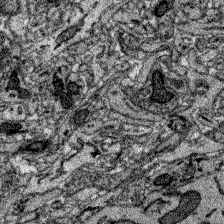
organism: Zebrafish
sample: Larval olfactory bulb